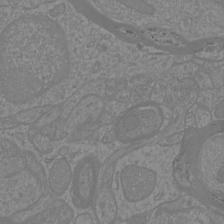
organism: Mouse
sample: Cortical neurons